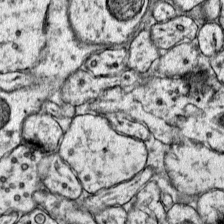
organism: Mouse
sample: Primary visual cortex